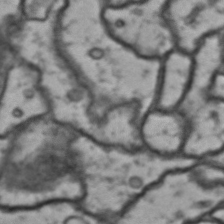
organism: Drosophila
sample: Brain